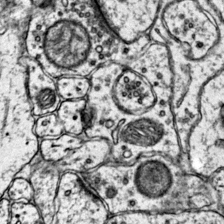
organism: Mouse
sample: Primary visual cortex